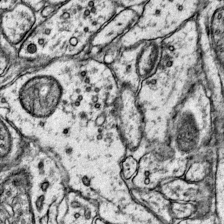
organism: Mouse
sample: Primary visual cortex